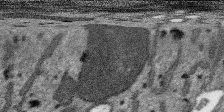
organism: Human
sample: Lung epithelial cells infected with SARS-CoV-2